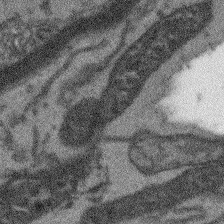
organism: Arabidopsis thaliana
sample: Root tip